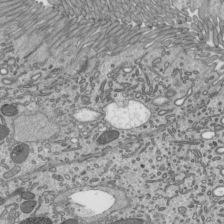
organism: Mouse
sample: Mouse epididymis efferent ductule cilia